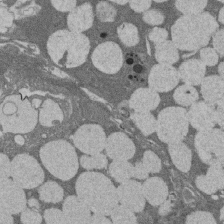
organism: Rat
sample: Salivary granule